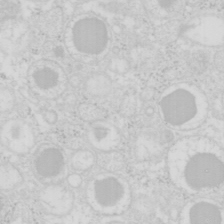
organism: Mouse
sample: Pancreas